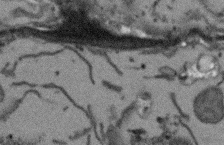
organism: Arabidopsis thaliana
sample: Root tip